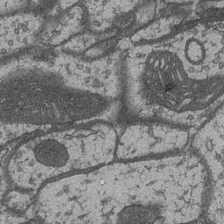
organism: Drosophila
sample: Optic medulla